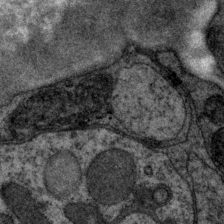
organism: P. pacificus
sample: Pharynx